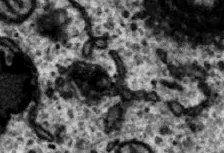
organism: Human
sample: HeLa cells